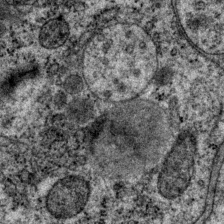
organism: P. pacificus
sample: Pharynx